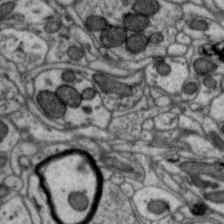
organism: Zebra finch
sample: Brain